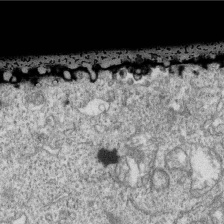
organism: Human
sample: HeLa cell HIV synapse